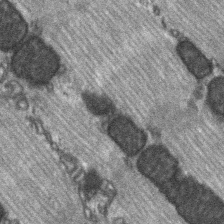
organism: C57BL Mouse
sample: Soleus